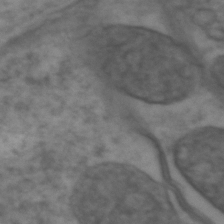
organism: Zebrafish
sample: Zebrafish embryo